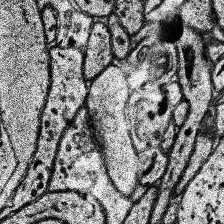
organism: Human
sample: Temporal Lobe